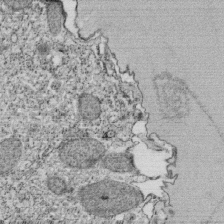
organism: Tetrahymena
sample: Cilia in tetrahymena